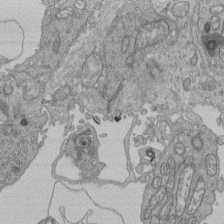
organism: Human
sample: Retinal organoid Rod and Cone cells